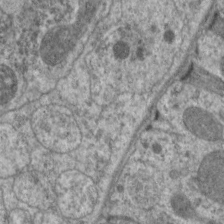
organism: C. elegans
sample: Pharynx